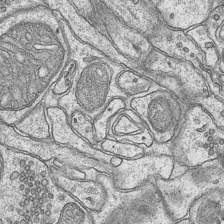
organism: Mouse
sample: CA1 Hippocampus